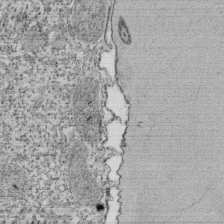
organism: Tetrahymena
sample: Cilia in tetrahymena